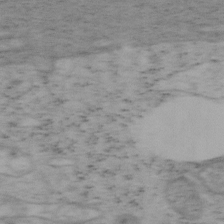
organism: Mouse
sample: OT-I killer T cells with ID8 ovarian cancer cells